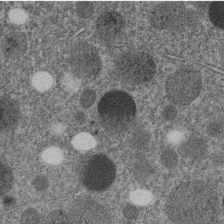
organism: C. elegans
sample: C. elegans embryo early stage